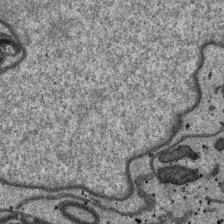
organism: Human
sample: Lung epithelial cells, uninfected (mock) control